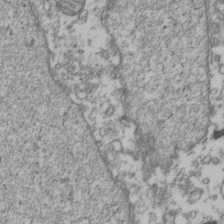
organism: Human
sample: Activated Jurkat CD4+ T cells